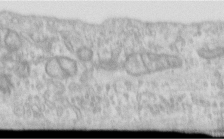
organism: Human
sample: Centriole in RPE cells